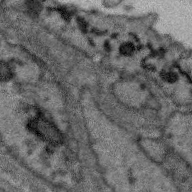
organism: Zebra finch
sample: Brain